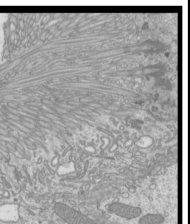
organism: Mouse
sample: Cilia; mouse epididymis